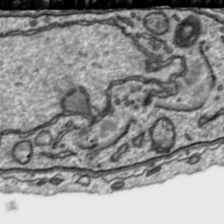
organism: Toxoplasma gondii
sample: Parasites in a vacuole inside a host cell